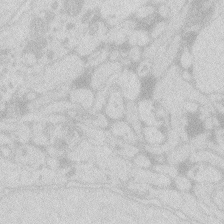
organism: Zebrafish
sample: Macrophage